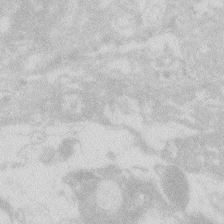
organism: Zebrafish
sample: Macrophage